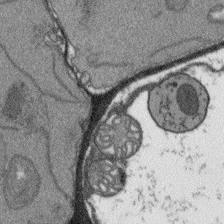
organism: Arabidopsis thaliana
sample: Root tip